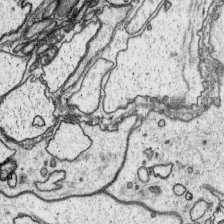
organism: Platynereis dumerilii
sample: Parapodia